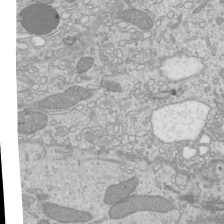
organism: Mouse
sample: Cilia; mouse epididymis